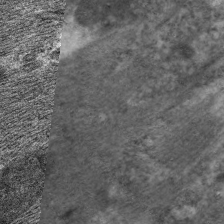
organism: C. elegans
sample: Pharynx